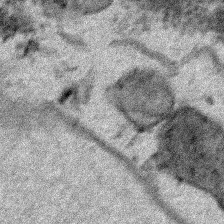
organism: Human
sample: Mitochondria in HCT116 cells